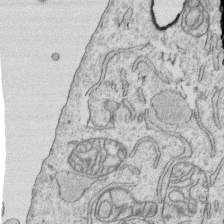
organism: Human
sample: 1205lu cells